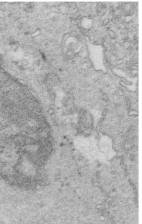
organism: Mouse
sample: Multiciliated cells